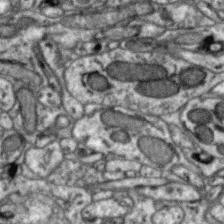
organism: Zebra finch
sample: Brain